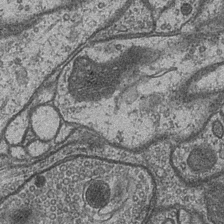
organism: Drosophila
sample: Optic medulla